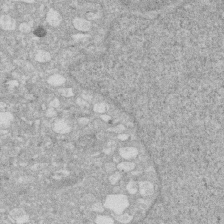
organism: Human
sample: HIV infected U937 cells